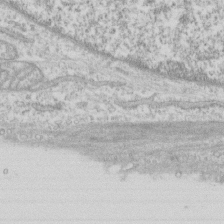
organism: Human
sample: CRL-1474